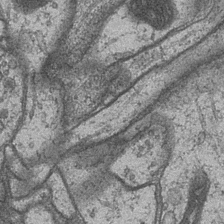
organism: Drosophila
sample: Optic medulla